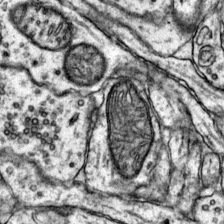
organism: Mouse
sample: Primary visual cortex